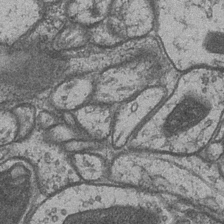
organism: Drosophila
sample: Optic medulla